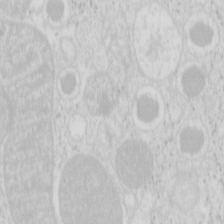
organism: Mouse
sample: Pancreas